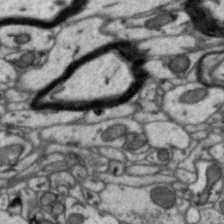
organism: Zebra finch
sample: Brain